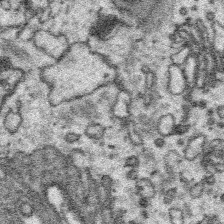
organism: Platynereis dumerilii